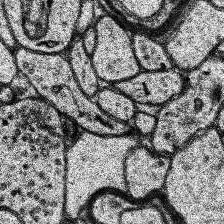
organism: Human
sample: Temporal Lobe